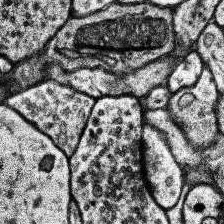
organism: Human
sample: Temporal Lobe